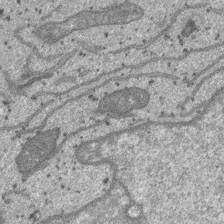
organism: Human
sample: Lung epithelial cells infected with SARS-CoV-2